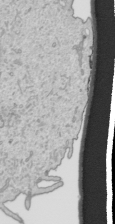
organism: Human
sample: Mitochondria in HCT116 cells